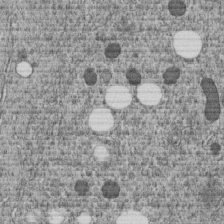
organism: C. elegans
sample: C. elegans embryo early stage